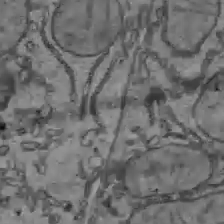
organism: C57BL Mouse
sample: Liver